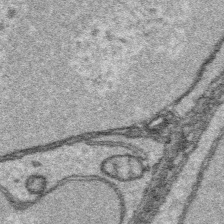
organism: Platynereis dumerilii